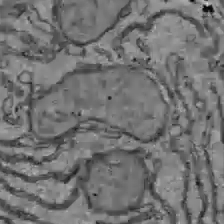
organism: C57BL Mouse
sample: Liver